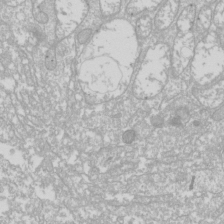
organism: Drosophila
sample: Cell division; meiosis; drosophila spermatocytes